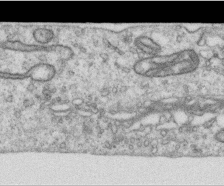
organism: Human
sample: Centriole in RPE cells